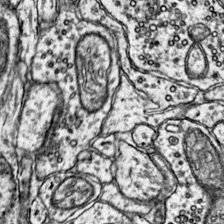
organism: Mouse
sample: Primary visual cortex